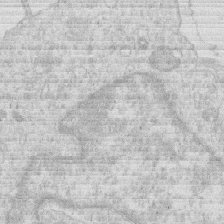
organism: Human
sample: Macrophage cells